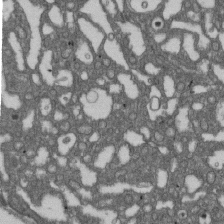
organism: Drosophila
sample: Nephrocyte